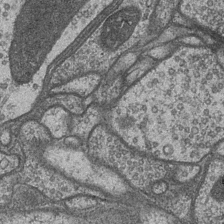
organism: Drosophila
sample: Optic medulla